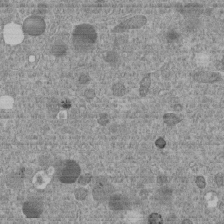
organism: C. elegans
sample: C. elegans embryo early stage